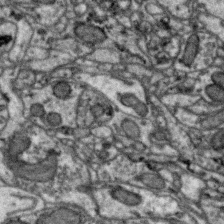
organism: Zebra finch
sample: Brain